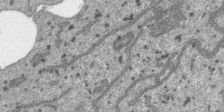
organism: Human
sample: Lung epithelial cells infected with SARS-CoV-2